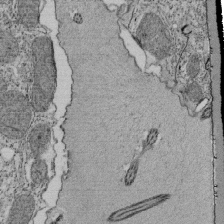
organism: Tetrahymena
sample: Cilia in tetrahymena